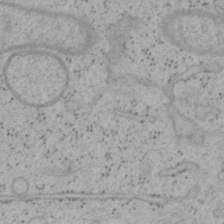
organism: Human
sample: HeLa cells